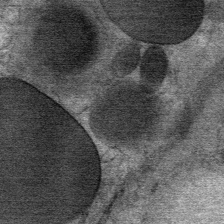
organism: Mouse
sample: Mouse Salivary gland